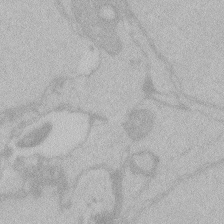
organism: Zebrafish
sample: Macrophage infected with Toxoplasma gondii